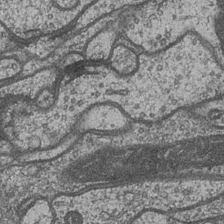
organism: Drosophila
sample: Optic medulla